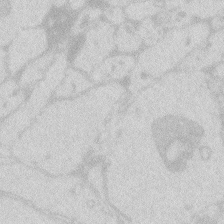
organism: Zebrafish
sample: Macrophage